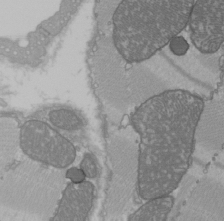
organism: C57BL Mouse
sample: Heart